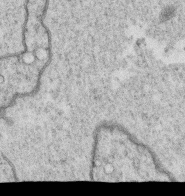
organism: C. elegans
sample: C. elegans oocyte; sperm cells